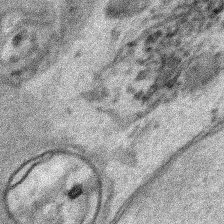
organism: Human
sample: Mitochondria in HCT116 cells